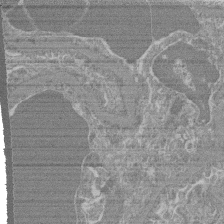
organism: Mouse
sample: Glomerulus